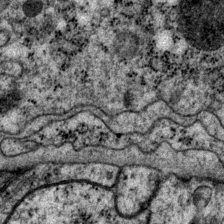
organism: P. pacificus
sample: Pharynx